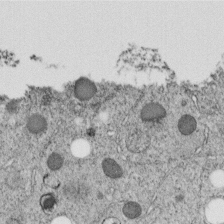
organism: C. elegans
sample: C. elegans embryo early stage